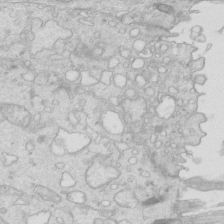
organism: Mouse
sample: Multiciliated cells